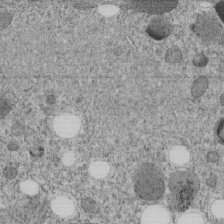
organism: C. elegans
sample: C. elegans embryo early stage